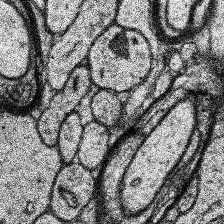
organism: Human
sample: Temporal Lobe